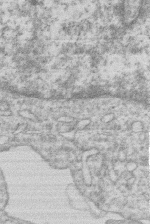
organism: Human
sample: Macrophage cells